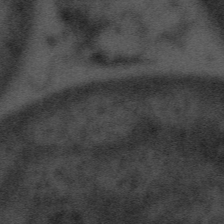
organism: Tuwongella immobilis